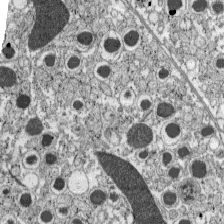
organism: C57BL Mouse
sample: Pancreatic islet